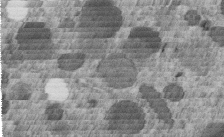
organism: C. elegans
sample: C. elegans embryo early stage